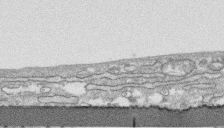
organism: Human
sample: CRL-1474